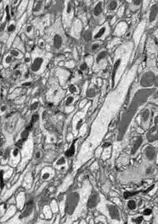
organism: Drosophila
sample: Optic lobe